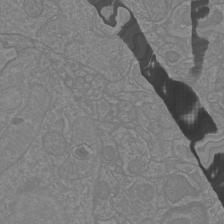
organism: Mouse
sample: Cortical neurons